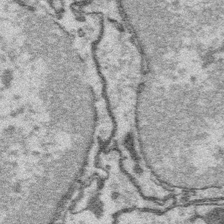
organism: Platynereis dumerilii